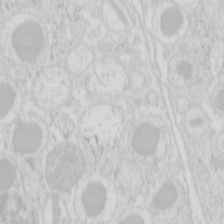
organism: Mouse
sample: Pancreas